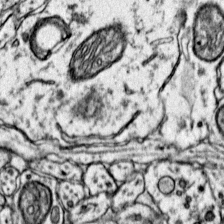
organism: Mouse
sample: Primary visual cortex